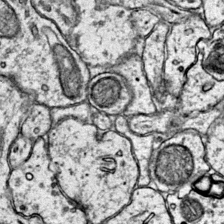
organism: Mouse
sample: Primary visual cortex